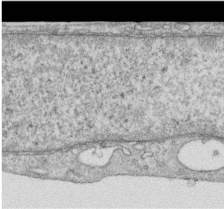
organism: Human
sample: Centriole in RPE cells